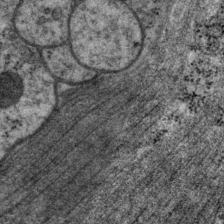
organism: P. pacificus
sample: Pharynx